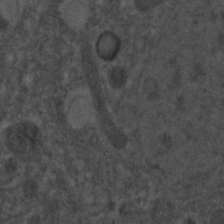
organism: C. elegans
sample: C. elegans embryo